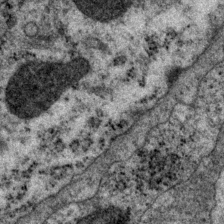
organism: P. pacificus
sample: Pharynx